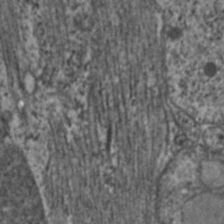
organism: C. elegans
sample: Pharynx